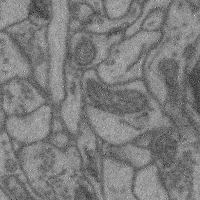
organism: Mouse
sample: Cerebral cortex